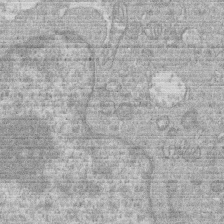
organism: Human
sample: Macrophage cells